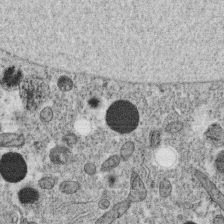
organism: C. elegans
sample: C. elegans oocyte; sperm cells